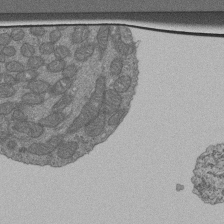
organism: Human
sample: Retinal organoid Rod and Cone cells